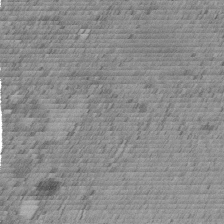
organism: C. elegans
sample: C. elegans embryo early stage